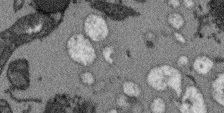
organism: Arabidopsis thaliana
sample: Root tip